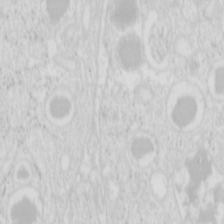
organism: Mouse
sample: Pancreas